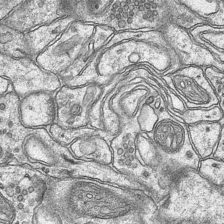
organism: Mouse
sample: CA1 Hippocampus